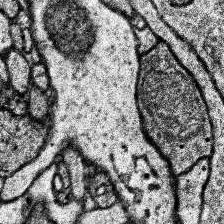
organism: Human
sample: Temporal Lobe